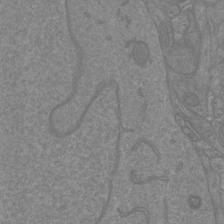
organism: Mouse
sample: Cortical neurons